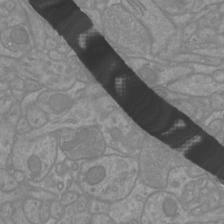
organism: Mouse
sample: Cortical neurons